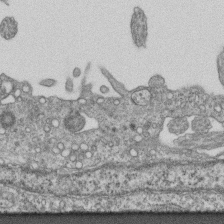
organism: Mouse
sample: Centriole in ependymal cells